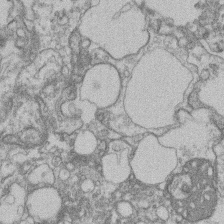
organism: Mouse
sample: T cell stromal cell synapse